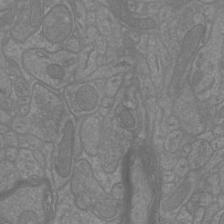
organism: Mouse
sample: Cortical neurons